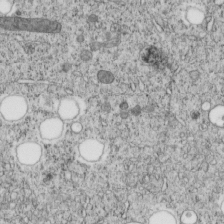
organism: C. elegans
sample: C. elegans embryo early stage